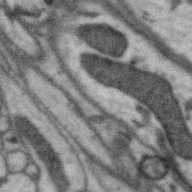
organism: Zebra finch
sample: Brain